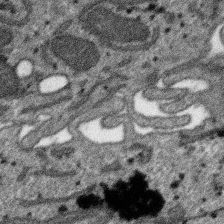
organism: Human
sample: Lung epithelial cells infected with SARS-CoV-2